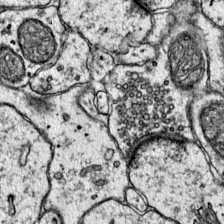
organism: Mouse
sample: Primary visual cortex